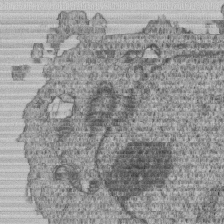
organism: Human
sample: MDA-MB-231 cells